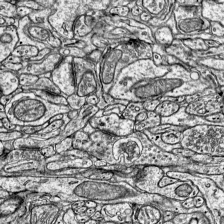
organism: Mouse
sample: Visual Cortex